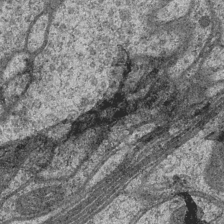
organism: Drosophila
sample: Optic medulla